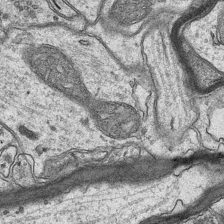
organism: Mouse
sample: CA1 Hippocampus